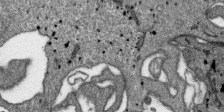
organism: Human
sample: Lung epithelial cells, uninfected (mock) control